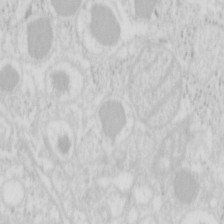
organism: Mouse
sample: Pancreas